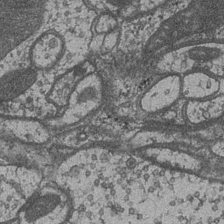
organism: Drosophila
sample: Optic medulla